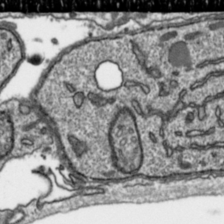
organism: Toxoplasma gondii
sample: Parasites in a vacuole inside a host cell